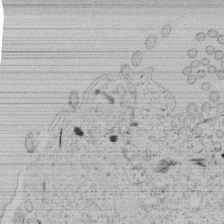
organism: Tetrahymena